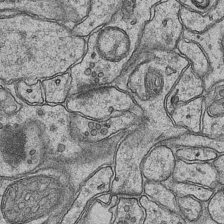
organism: Mouse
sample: CA1 Hippocampus